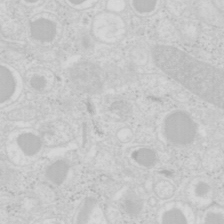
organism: Mouse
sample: Pancreas